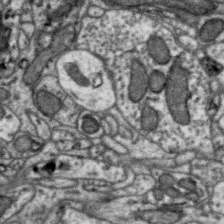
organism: Zebra finch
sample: Brain